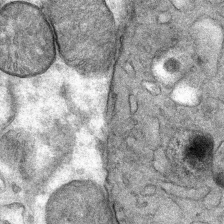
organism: Mouse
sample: Mouse Salivary gland